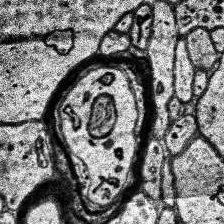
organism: Human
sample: Temporal Lobe